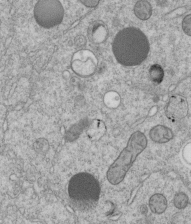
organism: C. elegans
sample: C. elegans embryo early stage